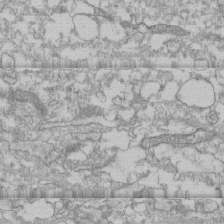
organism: Human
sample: CRL-1474